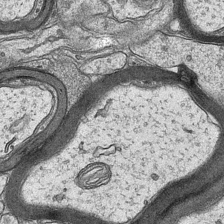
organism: Mouse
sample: CA1 Hippocampus